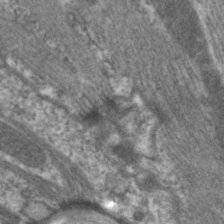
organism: C. elegans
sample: Pharynx